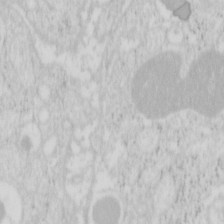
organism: Mouse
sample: Pancreas